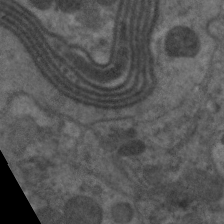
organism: C. elegans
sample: Pharynx